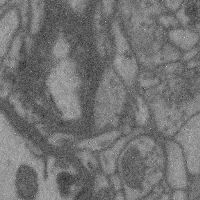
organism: Mouse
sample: Cerebral cortex